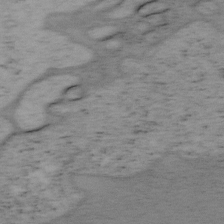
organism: Mouse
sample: OT-I killer T cells with ID8 ovarian cancer cells